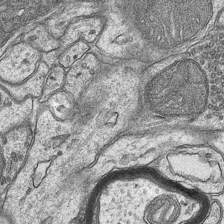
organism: Mouse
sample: CA1 Hippocampus